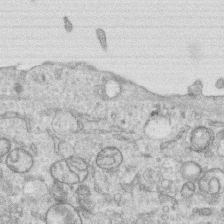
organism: Human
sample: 1205lu cells